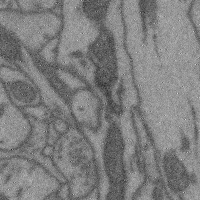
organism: Mouse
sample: Cerebral cortex